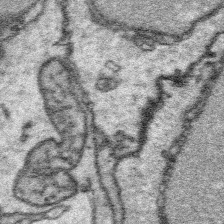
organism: Platynereis dumerilii